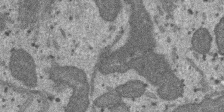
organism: Human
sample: Lung epithelial cells infected with SARS-CoV-2